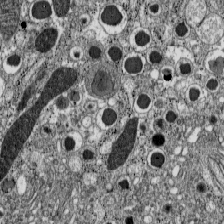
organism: C57BL Mouse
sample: Pancreatic islet